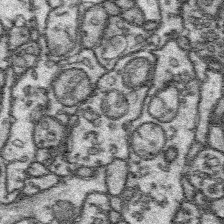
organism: Platynereis dumerilii